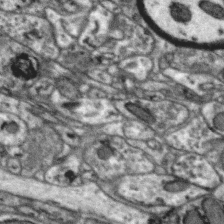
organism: Zebra finch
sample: Brain